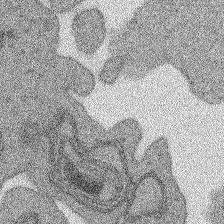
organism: Human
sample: HeLa cells